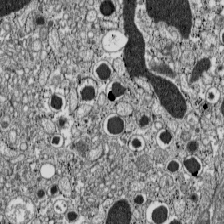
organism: C57BL Mouse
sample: Pancreatic islet